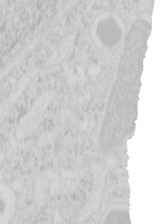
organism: Mouse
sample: Pancreas